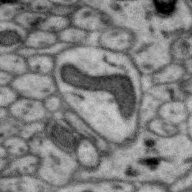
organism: Zebra finch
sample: Brain